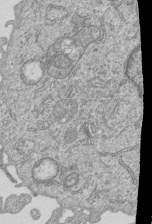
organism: Human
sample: MDA-MB-231 cells